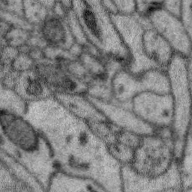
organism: Zebra finch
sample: Brain